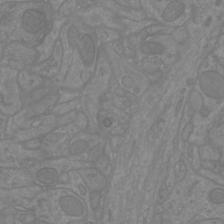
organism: Mouse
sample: Cortical neurons